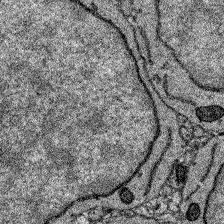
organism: Zebrafish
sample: Larval olfactory bulb